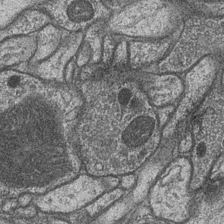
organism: Drosophila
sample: Optic medulla